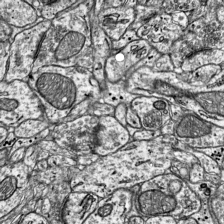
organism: Mouse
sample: Visual Cortex